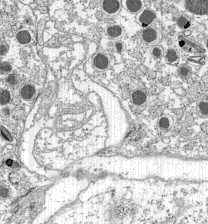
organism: C57BL Mouse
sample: Pancreatic islet